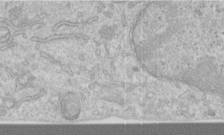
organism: Human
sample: Centriole in RPE cells